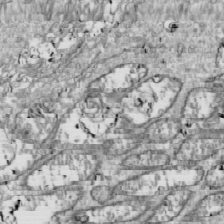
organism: Drosophila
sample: Cell division; meiosis; drosophila spermatocytes